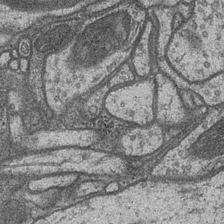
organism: Drosophila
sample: Optic medulla